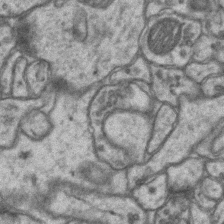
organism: Mouse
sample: CA1 Hippocampus